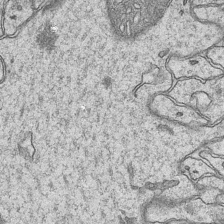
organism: Mouse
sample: CA1 Hippocampus